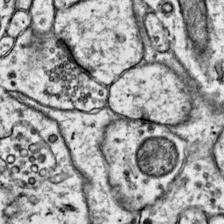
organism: Mouse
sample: Primary visual cortex